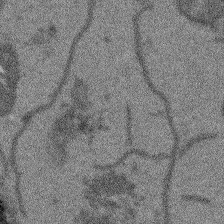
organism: Arabidopsis thaliana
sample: Root tip